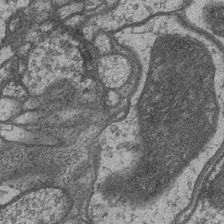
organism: Drosophila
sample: Optic medulla